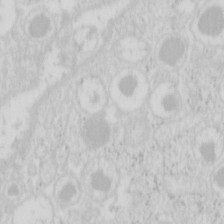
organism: Mouse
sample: Pancreas